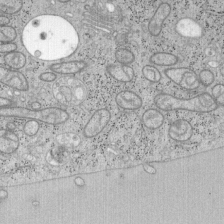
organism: Mouse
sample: OT-I killer T cells with ID8 ovarian cancer cells